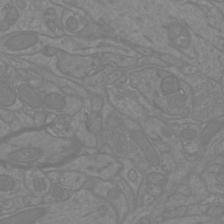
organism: Mouse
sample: Cortical neurons